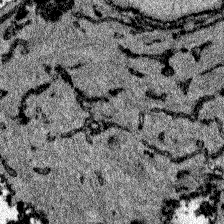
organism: Zebrafish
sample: Larval olfactory bulb